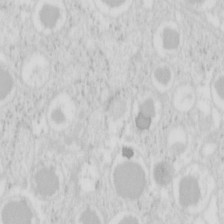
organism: Mouse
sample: Pancreas